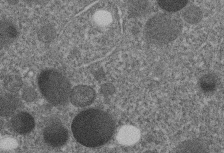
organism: C. elegans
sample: C. elegans embryo early stage